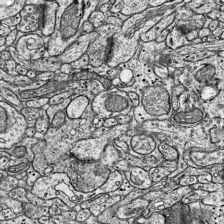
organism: Mouse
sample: Visual Cortex